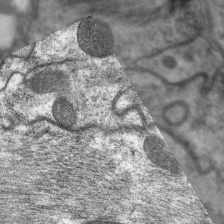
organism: C. elegans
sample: Pharynx